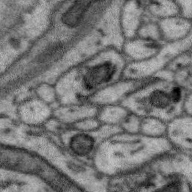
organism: Zebra finch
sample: Brain